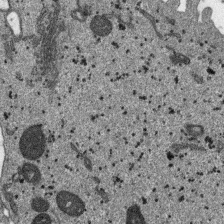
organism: Human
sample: Lung epithelial cells infected with SARS-CoV-2